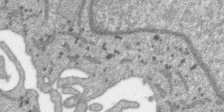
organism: Human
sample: Lung epithelial cells infected with SARS-CoV-2